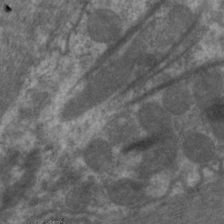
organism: C. elegans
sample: Pharynx